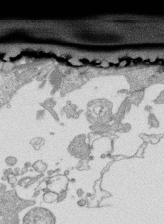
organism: Human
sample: HeLa cell HIV synapse